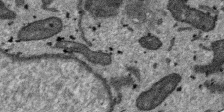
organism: Human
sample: Lung epithelial cells, uninfected (mock) control